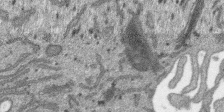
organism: Human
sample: Lung epithelial cells infected with SARS-CoV-2